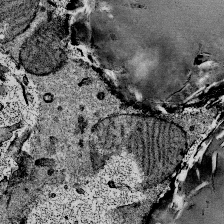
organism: Mouse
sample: Mouse Salivary gland